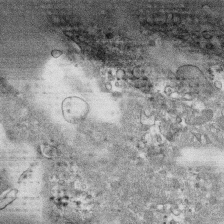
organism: Human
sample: CRL-1474